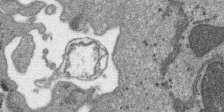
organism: Human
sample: Lung epithelial cells infected with SARS-CoV-2